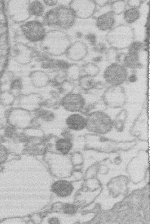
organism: Human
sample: Macrophage cells